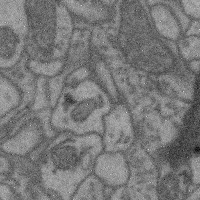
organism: Mouse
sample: Cerebral cortex